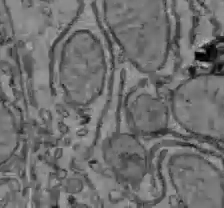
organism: C57BL Mouse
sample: Liver